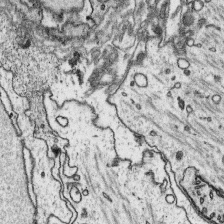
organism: Platynereis dumerilii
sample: Parapodia